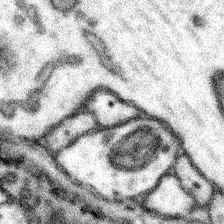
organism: Mouse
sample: Somatosensory cortex neuropil